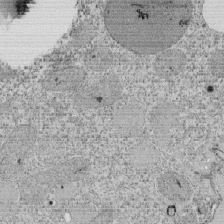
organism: Tetrahymena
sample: Cilia in tetrahymena